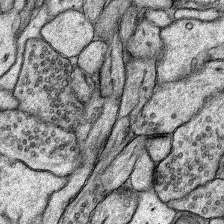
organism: Rat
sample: Hippocampus